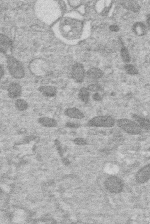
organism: Human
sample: Macrophage cells